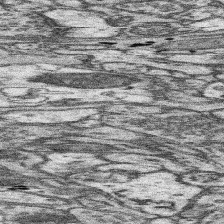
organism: Mouse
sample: Somatosensory cortex neuropil